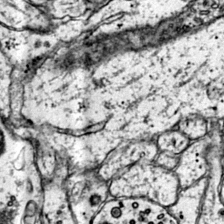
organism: Mouse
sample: Primary visual cortex